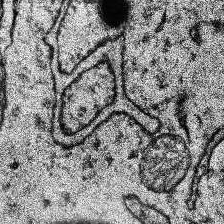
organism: Human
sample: Temporal Lobe